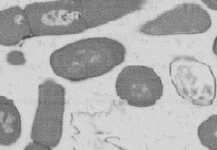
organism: B. subtilis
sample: Bacterial spore